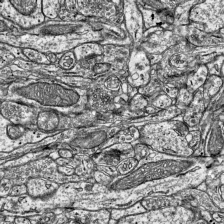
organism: Mouse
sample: Visual Cortex